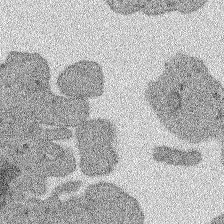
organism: Human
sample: HeLa cells